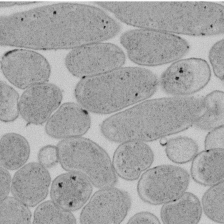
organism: E. coli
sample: Bacterial nucleoid